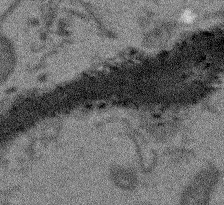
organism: Arabidopsis thaliana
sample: Root tip